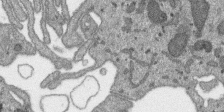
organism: Human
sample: Lung epithelial cells infected with SARS-CoV-2